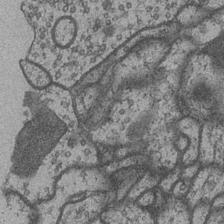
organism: Drosophila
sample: Optic medulla